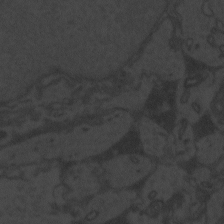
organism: Zebrafish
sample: Macrophage infected with Toxoplasma gondii